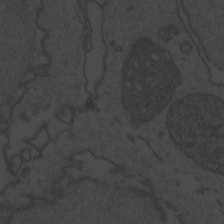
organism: Zebrafish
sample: Macrophage infected with Toxoplasma gondii